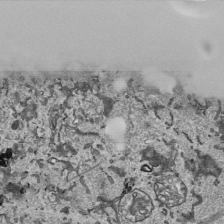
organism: Human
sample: Mitochondria in HCT116 cells